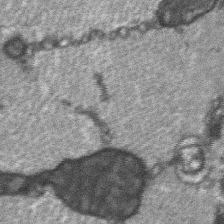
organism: C57BL Mouse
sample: Soleus